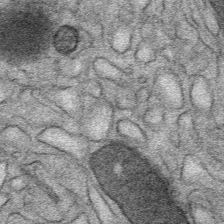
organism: Mouse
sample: Mouse Salivary gland